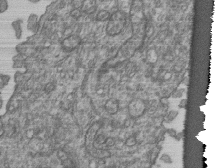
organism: Human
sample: Retinal organoid Rod and Cone cells